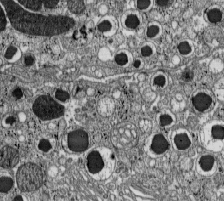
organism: C57BL Mouse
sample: Pancreatic islet